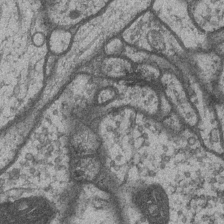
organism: Drosophila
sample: Optic medulla